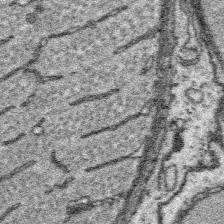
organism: Platynereis dumerilii